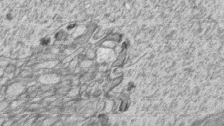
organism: Zebrafish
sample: synaptic ribbons in rod cells and cone cells